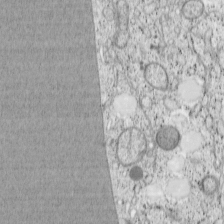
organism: African green monkey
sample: COS-7 cells